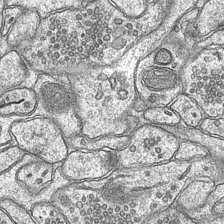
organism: Mouse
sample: CA1 Hippocampus